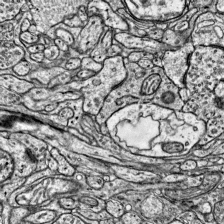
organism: Mouse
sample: Visual Cortex